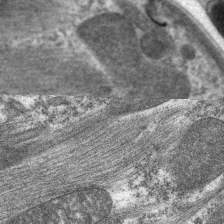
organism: C. elegans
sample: Pharynx